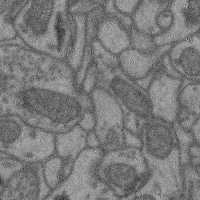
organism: Mouse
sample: Cerebral cortex